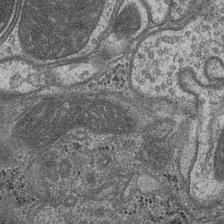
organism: Drosophila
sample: Optic medulla